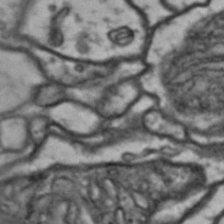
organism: Drosophila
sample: Brain